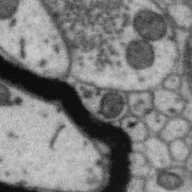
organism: Zebra finch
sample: Brain